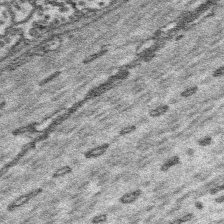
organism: Platynereis dumerilii